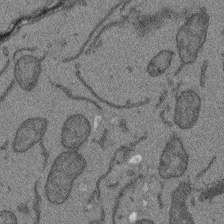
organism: Arabidopsis thaliana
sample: Root tip